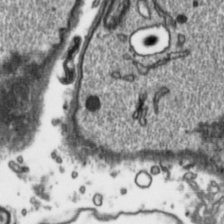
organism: Toxoplasma gondii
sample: Parasites in a vacuole inside a host cell